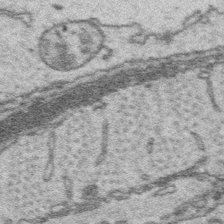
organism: Platynereis dumerilii